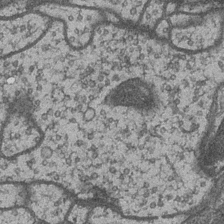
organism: Drosophila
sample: Optic medulla